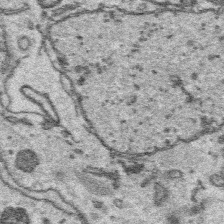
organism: Platynereis dumerilii